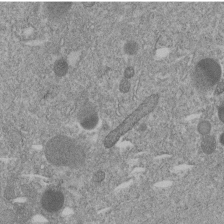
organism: C. elegans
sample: C. elegans embryo early stage